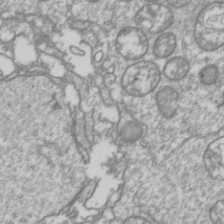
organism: Drosophila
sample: Cell division; meiosis; drosophila spermatocytes